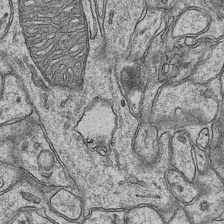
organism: Mouse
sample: CA1 Hippocampus